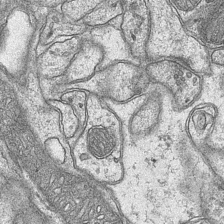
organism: Mouse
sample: CA1 Hippocampus